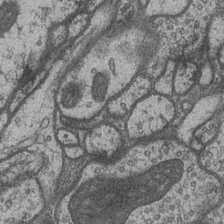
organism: Drosophila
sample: Optic medulla